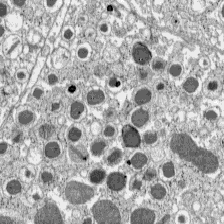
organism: C57BL Mouse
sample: Pancreatic islet